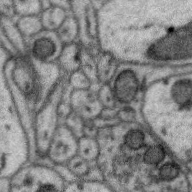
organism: Zebra finch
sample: Brain